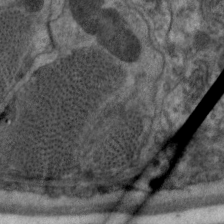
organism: C. elegans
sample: Pharynx